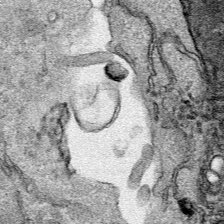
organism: Human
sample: Mitochondria in HCT116 cells